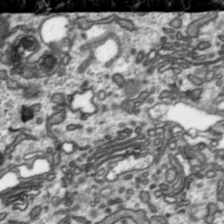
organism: Toxoplasma gondii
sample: Parasites in a vacuole inside a host cell